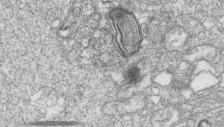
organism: Human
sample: HeLa cell HIV synapse